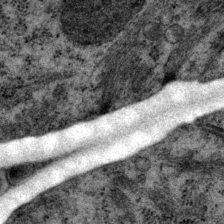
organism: P. pacificus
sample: Pharynx